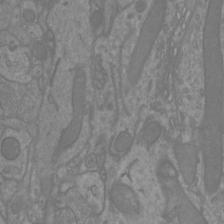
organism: Mouse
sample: Cortical neurons